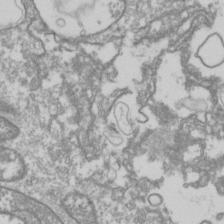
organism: Drosophila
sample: Cell division; meiosis; drosophila spermatocytes